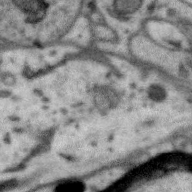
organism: Zebra finch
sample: Brain